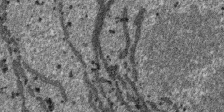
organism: Human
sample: Lung epithelial cells infected with SARS-CoV-2